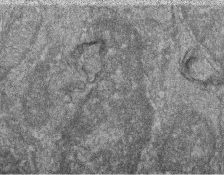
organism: Zebrafish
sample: Cilia; retinal pigment epithelium